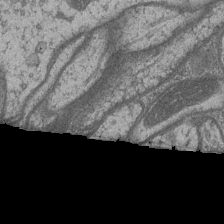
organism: Drosophila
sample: Optic medulla